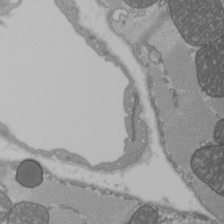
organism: C57BL Mouse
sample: Heart